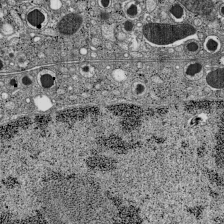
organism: C57BL Mouse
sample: Pancreatic islet